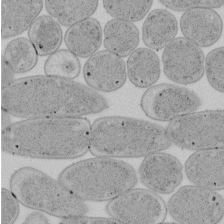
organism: E. coli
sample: Bacterial nucleoid